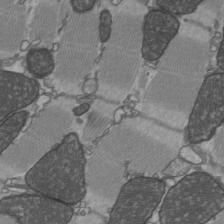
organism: C57BL Mouse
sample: Heart